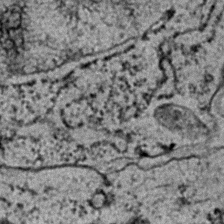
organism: C. elegans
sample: C. elegans embryo